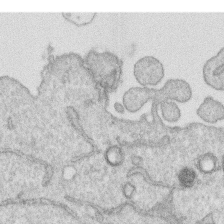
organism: Human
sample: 1205lu cells